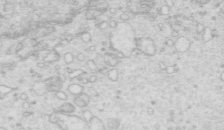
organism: Mouse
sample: Multiciliated cells